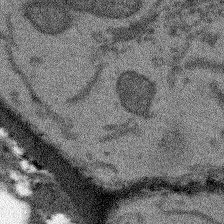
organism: Arabidopsis thaliana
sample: Root tip